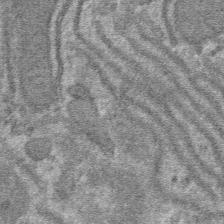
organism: Mouse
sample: Mouse hepatocytes